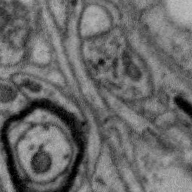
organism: Zebra finch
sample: Brain